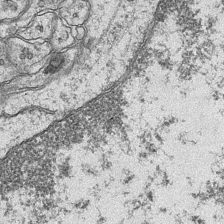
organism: Mouse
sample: CA1 Hippocampus